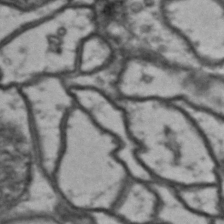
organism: Drosophila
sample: Brain